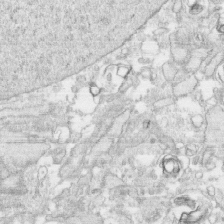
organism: Human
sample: CRL-1474